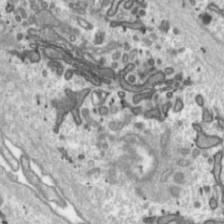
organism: Toxoplasma gondii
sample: Parasites in a vacuole inside a host cell